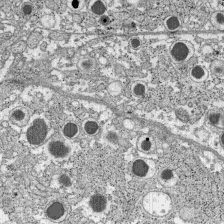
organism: C57BL Mouse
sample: Pancreatic islet